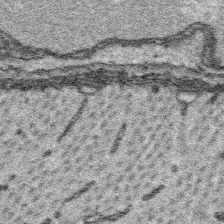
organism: Platynereis dumerilii